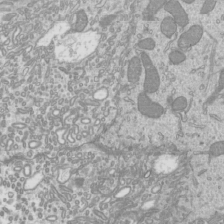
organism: Mouse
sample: Cilia; mouse epididymis